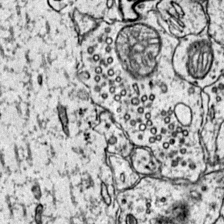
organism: Mouse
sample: Primary visual cortex